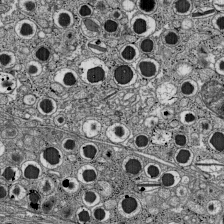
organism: C57BL Mouse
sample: Pancreatic islet